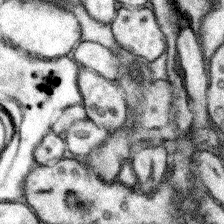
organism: Mouse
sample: Somatosensory cortex neuropil